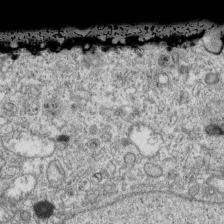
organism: Human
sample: HeLa cell HIV synapse